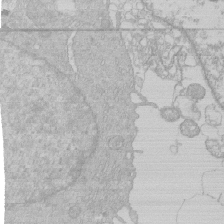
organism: Human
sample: Macrophage cells